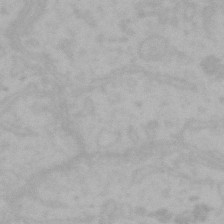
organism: Mouse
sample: Choroid plexus